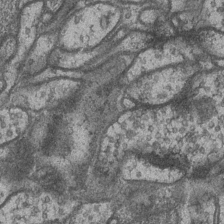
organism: Drosophila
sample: Optic medulla